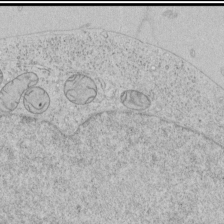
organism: Human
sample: Mitochondria in HCT116 cells